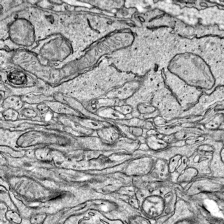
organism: Mouse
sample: Visual Cortex